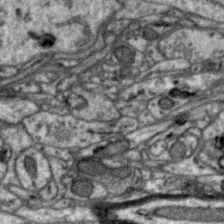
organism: Zebra finch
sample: Brain